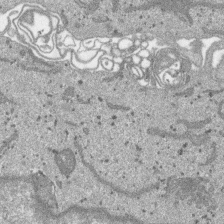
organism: Human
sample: Lung epithelial cells infected with SARS-CoV-2